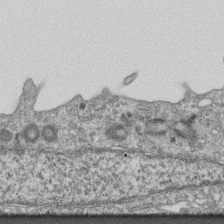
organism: Mouse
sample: Centriole in ependymal cells